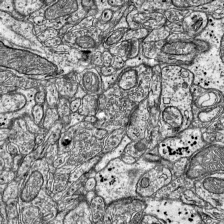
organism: Mouse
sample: Visual Cortex